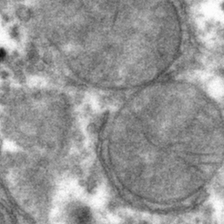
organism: Mouse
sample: Mouse hepatocytes